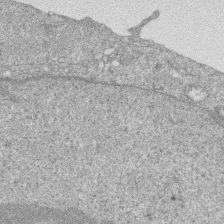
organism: Human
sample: HeLa cell HIV synapse